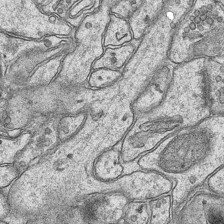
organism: Mouse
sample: CA1 Hippocampus